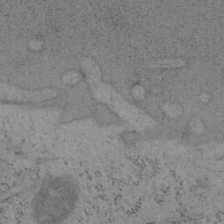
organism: Mouse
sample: OT-I killer T cells with ID8 ovarian cancer cells